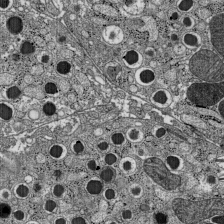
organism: C57BL Mouse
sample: Pancreatic islet